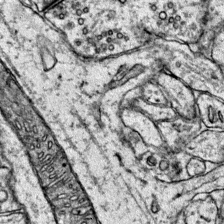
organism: Mouse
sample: Primary visual cortex